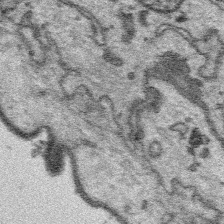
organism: Platynereis dumerilii